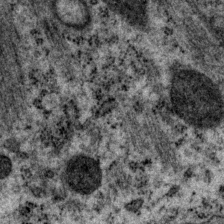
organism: P. pacificus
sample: Pharynx